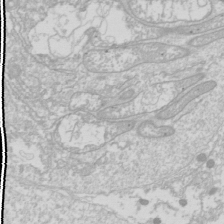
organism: Drosophila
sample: Cell division; meiosis; drosophila spermatocytes